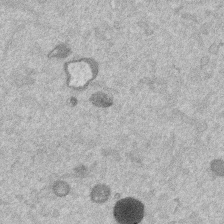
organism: Mouse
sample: Dividing mouse embryo 1 cell stage